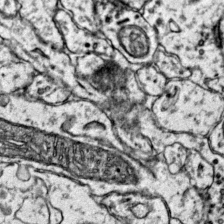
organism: Mouse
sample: Primary visual cortex